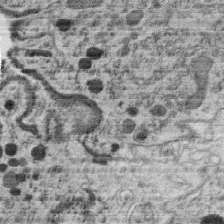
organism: C. elegans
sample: C. elegans oocyte; sperm cells